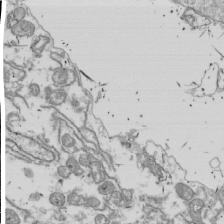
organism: Drosophila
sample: Cell division; meiosis; drosophila spermatocytes